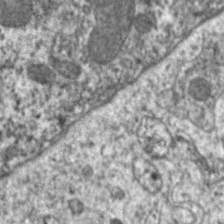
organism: C. elegans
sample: Pharynx